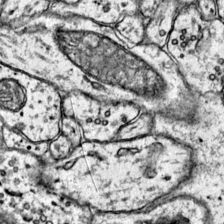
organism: Mouse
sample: Primary visual cortex